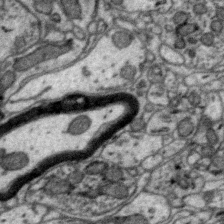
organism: Zebra finch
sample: Brain